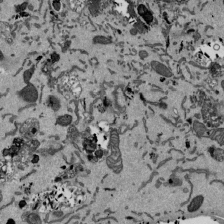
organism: Mouse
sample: ED-1 cell nuclei; centrioles